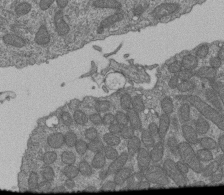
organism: Human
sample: Retinal organoid Rod and Cone cells